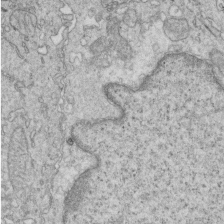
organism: Mouse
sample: Multiciliated cells